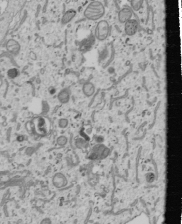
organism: Human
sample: Mitochondria in U2OS cells